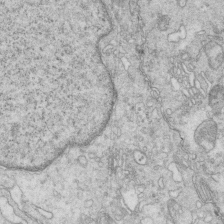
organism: Mouse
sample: Multiciliated cells